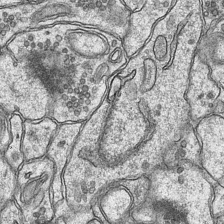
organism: Mouse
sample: CA1 Hippocampus